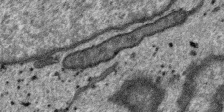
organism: Human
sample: Lung epithelial cells, uninfected (mock) control